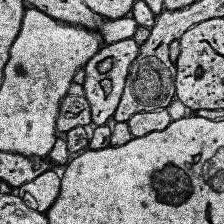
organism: Human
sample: Temporal Lobe